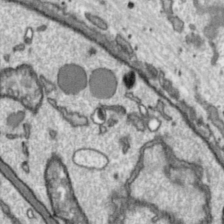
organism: Toxoplasma gondii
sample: Parasites in a vacuole inside a host cell